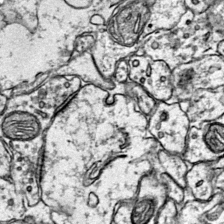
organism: Mouse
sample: Primary visual cortex